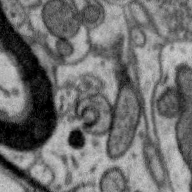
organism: Zebra finch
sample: Brain